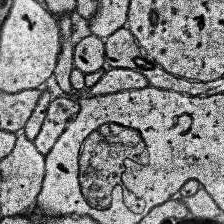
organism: Human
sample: Temporal Lobe